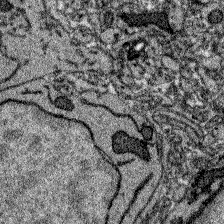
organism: Zebrafish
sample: Larval olfactory bulb